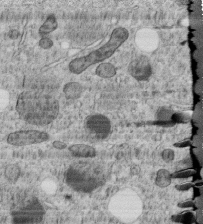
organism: C. elegans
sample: C. elegans embryo early stage